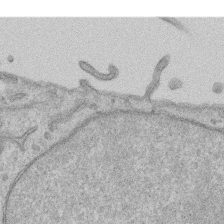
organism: Human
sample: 1205lu cells